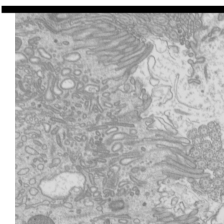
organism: Mouse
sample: Cilia; mouse epididymis